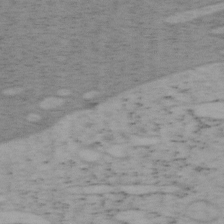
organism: Mouse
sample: OT-I killer T cells with ID8 ovarian cancer cells